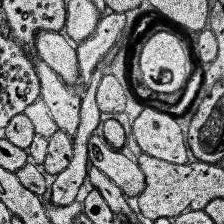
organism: Human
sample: Temporal Lobe